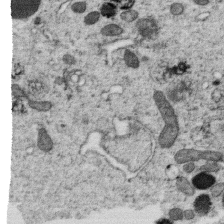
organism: C. elegans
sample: C. elegans oocyte; sperm cells